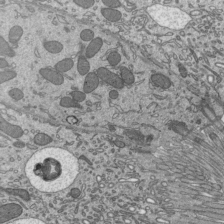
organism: Mouse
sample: Mouse epididymis efferent ductule cilia